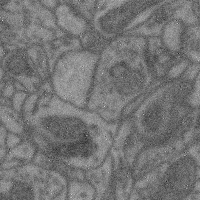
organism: Mouse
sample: Cerebral cortex